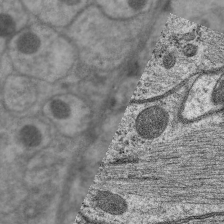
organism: C. elegans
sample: Pharynx